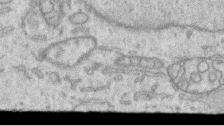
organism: Human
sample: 1205lu cells